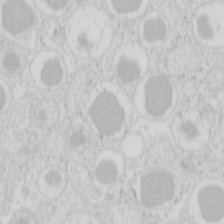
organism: Mouse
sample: Pancreas